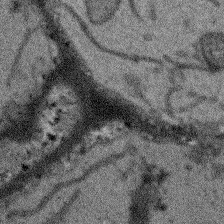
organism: Arabidopsis thaliana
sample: Root tip